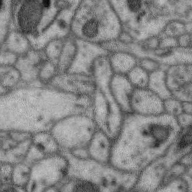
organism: Zebra finch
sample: Brain